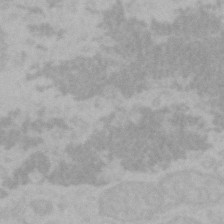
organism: Mouse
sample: Choroid plexus